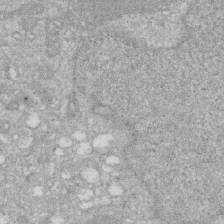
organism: Human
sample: HIV infected U937 cells